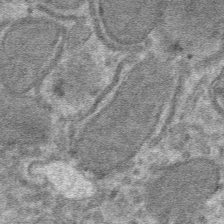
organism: Mouse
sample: Mouse hepatocytes